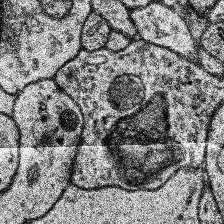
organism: Human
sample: Temporal Lobe